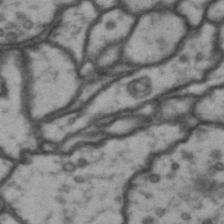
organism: Drosophila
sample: Brain